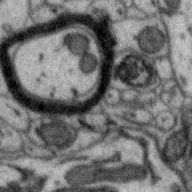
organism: Zebra finch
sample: Brain